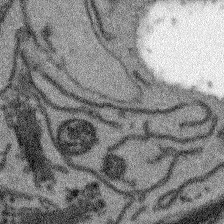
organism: Arabidopsis thaliana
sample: Root tip